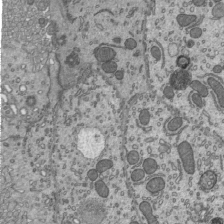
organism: Mouse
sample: Mouse epididymis efferent ductule cilia